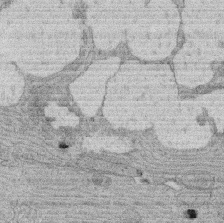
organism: Rat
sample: Salivary granule